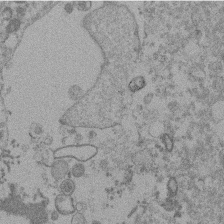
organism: Mouse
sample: Dividing mouse embryo 1 cell stage